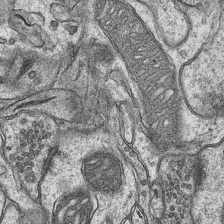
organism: Mouse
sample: CA1 Hippocampus